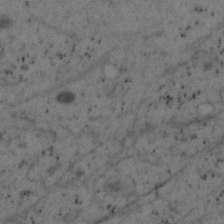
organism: Human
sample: HeLa cells